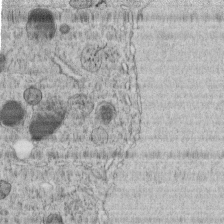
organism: C. elegans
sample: C. elegans embryo early stage